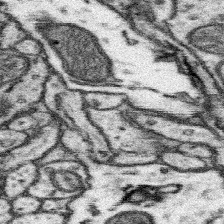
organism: Mouse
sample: Somatosensory cortex neuropil